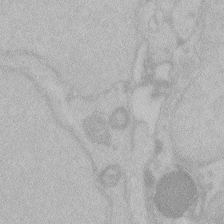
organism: Zebrafish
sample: Macrophage infected with Toxoplasma gondii